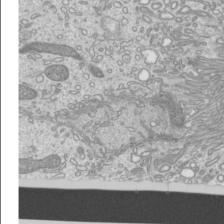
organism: Mouse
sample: Cilia; mouse epididymis